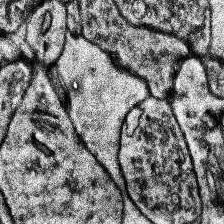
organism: Human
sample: Temporal Lobe